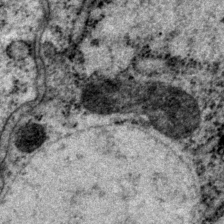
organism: P. pacificus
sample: Pharynx